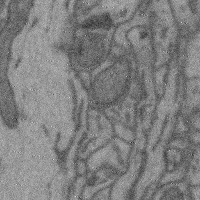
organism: Mouse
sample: Cerebral cortex